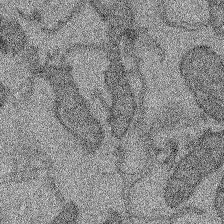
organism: Human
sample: HeLa cells